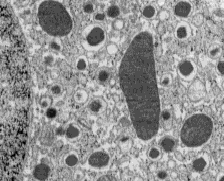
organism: C57BL Mouse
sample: Pancreatic islet